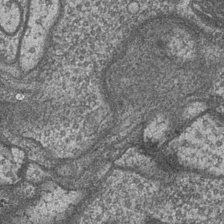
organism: Drosophila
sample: Optic medulla